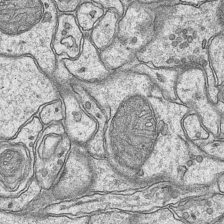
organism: Mouse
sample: CA1 Hippocampus